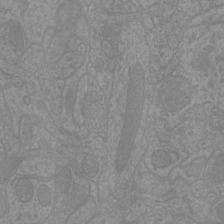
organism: Mouse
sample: Cortical neurons